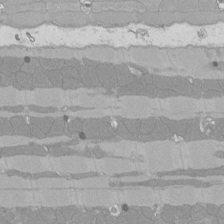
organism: Rat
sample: Left ventricle